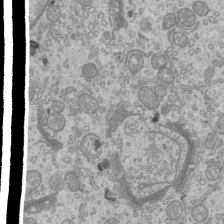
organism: Mouse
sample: Cilia; mouse epididymis